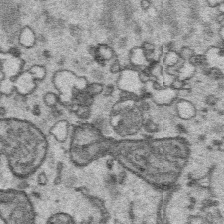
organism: Platynereis dumerilii